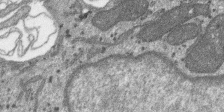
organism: Human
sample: Lung epithelial cells infected with SARS-CoV-2